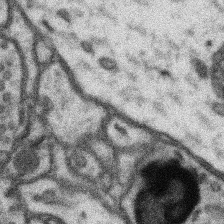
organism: Mouse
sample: Somatosensory cortex neuropil